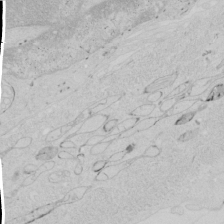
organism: Human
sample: Mitochondria in HCT116 cells